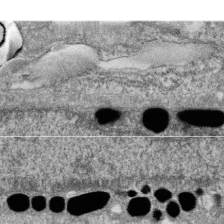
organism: Zebrafish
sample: Cilia; retinal pigment epithelium